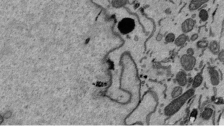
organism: Mouse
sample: ED-1 cell nuclei; centrioles